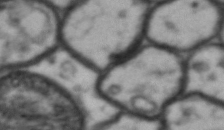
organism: Drosophila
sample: Brain